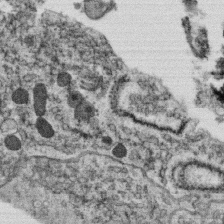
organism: C. elegans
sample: C. elegans oocyte; sperm cells